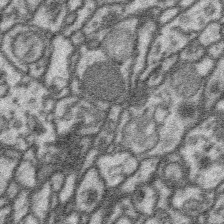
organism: Platynereis dumerilii